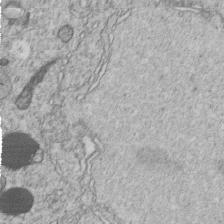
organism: C. elegans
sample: C. elegans embryo early stage